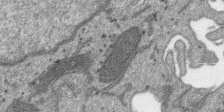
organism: Human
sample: Lung epithelial cells infected with SARS-CoV-2